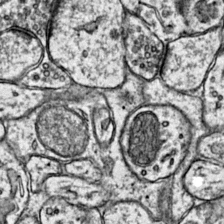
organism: Mouse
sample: Primary visual cortex